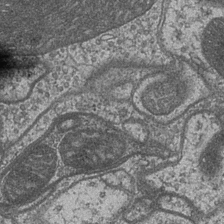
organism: Drosophila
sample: Optic medulla